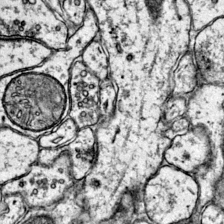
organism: Mouse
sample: Primary visual cortex